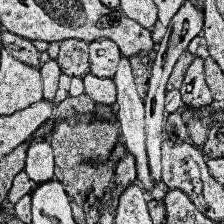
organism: Human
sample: Temporal Lobe